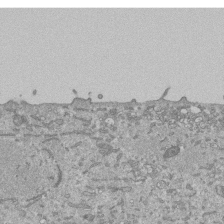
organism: Mouse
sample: ED-1 cell nuclei; centrioles